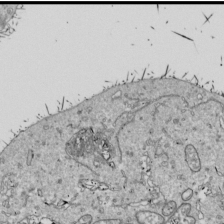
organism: Drosophila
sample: Cell division; meiosis; drosophila spermatocytes